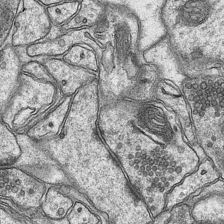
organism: Mouse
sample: CA1 Hippocampus